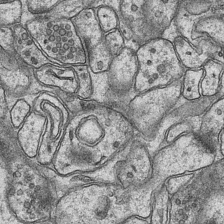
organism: Mouse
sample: CA1 Hippocampus